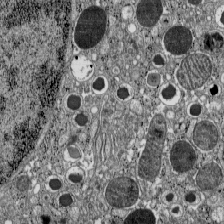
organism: C57BL Mouse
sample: Pancreatic islet